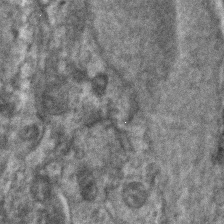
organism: Zebrafish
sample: Zebrafish embryo